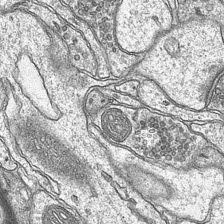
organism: Mouse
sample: CA1 Hippocampus